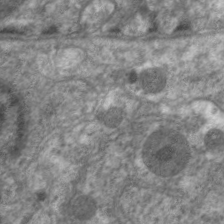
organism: C. elegans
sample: Pharynx